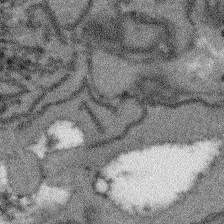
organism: Arabidopsis thaliana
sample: Root tip